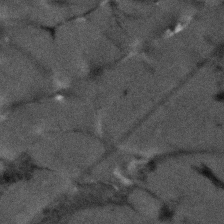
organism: Human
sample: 1205lu cells